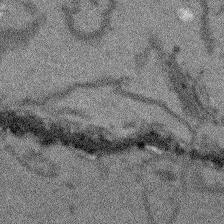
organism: Arabidopsis thaliana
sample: Root tip